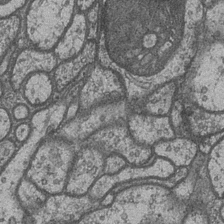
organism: Drosophila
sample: Optic medulla